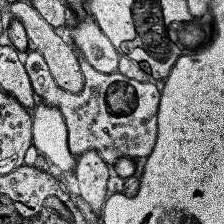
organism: Human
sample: Temporal Lobe